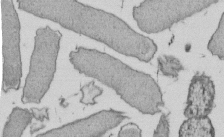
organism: E. coli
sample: Bacterial nucleoid